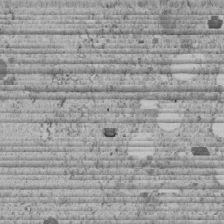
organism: C. elegans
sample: C. elegans embryo early stage